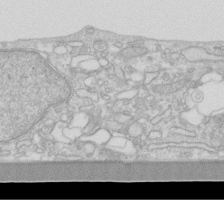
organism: Human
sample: Fibroblast cells